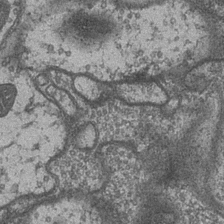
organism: Drosophila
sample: Optic medulla